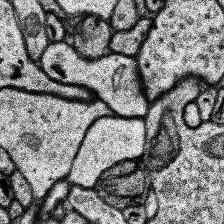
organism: Human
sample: Temporal Lobe